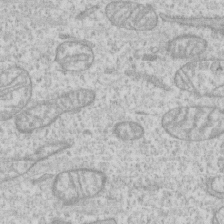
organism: Human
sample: CRL-1474